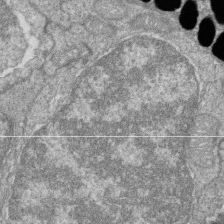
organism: Zebrafish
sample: Cilia; retinal pigment epithelium